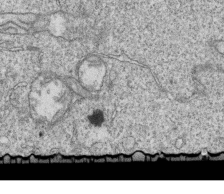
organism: Human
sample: HeLa cell HIV synapse